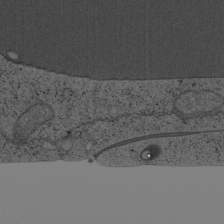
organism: African green monkey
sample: COS-7 cells